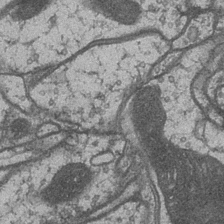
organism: Drosophila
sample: Optic medulla